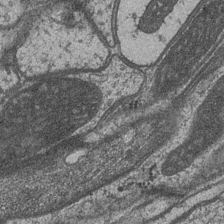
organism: Drosophila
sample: Optic medulla